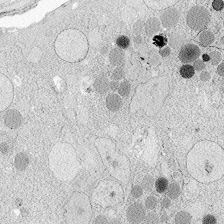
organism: Zebrafish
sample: Whole-Brain